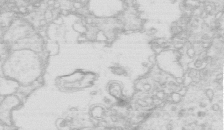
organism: Mouse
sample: Multiciliated cells